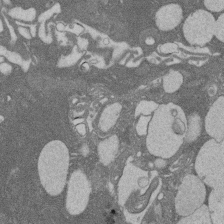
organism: Rat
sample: Salivary granule